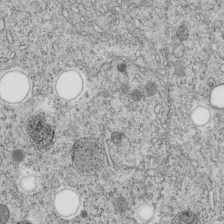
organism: C. elegans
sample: C. elegans embryo early stage